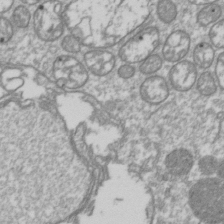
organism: Drosophila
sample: Cell division; meiosis; drosophila spermatocytes